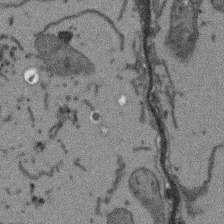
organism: Arabidopsis thaliana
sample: Root tip